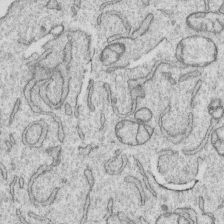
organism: Human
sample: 1205lu cells